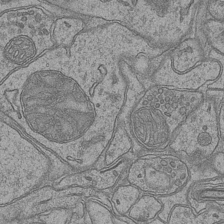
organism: Mouse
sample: CA1 Hippocampus